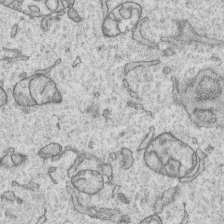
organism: Human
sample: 1205lu cells